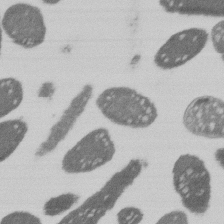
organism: E. coli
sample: Bacterial nucleoid